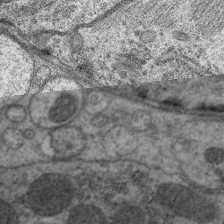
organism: C. elegans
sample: Pharynx